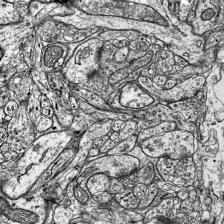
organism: Mouse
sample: Visual Cortex